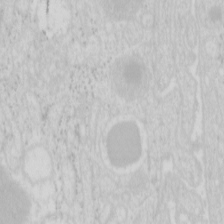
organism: Mouse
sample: Pancreas